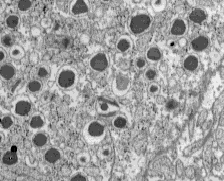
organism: C57BL Mouse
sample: Pancreatic islet